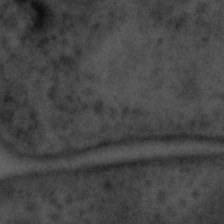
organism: Tuwongella immobilis